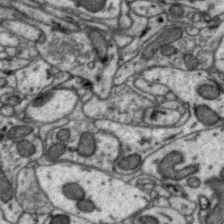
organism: Zebra finch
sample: Brain